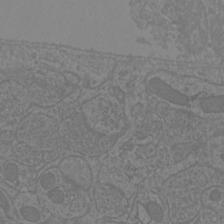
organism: Mouse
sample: Cortical neurons